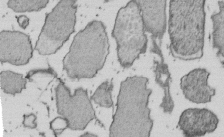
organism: E. coli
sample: Bacterial nucleoid